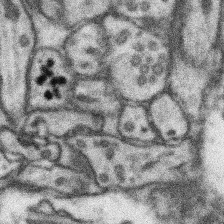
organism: Mouse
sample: Somatosensory cortex neuropil